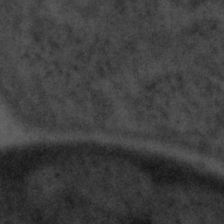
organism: Tuwongella immobilis